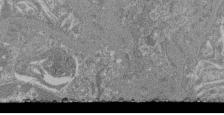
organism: Mouse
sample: Glomerulus